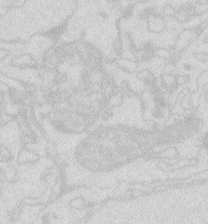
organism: Zebrafish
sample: Macrophage